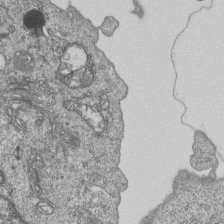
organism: Human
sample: MDA-MB-231 cells